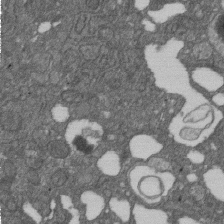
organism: Drosophila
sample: Nephrocyte